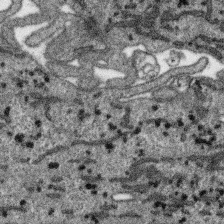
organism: Human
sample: Lung epithelial cells infected with SARS-CoV-2